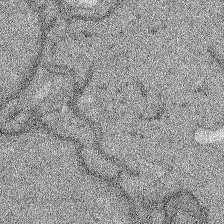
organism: Human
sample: HeLa cells